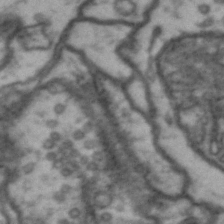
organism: Drosophila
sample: Brain